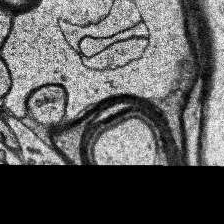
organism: Human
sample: Temporal Lobe